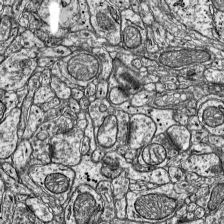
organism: Mouse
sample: Visual Cortex